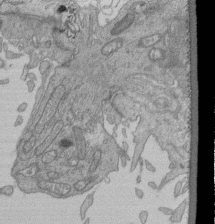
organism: Human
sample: Retinal organoid Rod and Cone cells